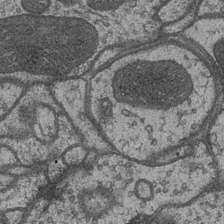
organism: Drosophila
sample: Optic medulla